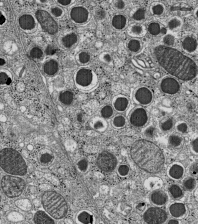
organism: C57BL Mouse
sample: Pancreatic islet